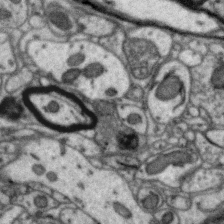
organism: Zebra finch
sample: Brain